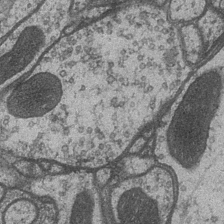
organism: Drosophila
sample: Optic medulla